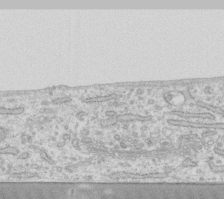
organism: Human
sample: Fibroblast cells